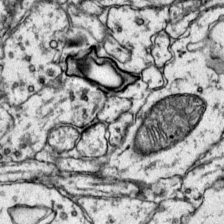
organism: Mouse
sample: Primary visual cortex